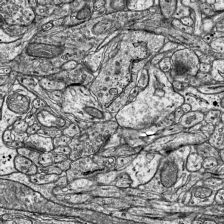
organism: Mouse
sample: Visual Cortex